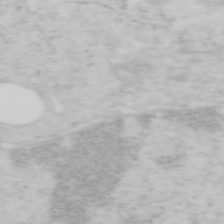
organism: Mouse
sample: OT-I killer T cells with ID8 ovarian cancer cells